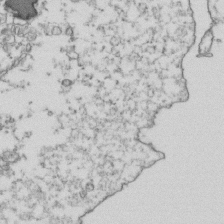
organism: Human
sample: Activated Jurkat CD4+ T cells